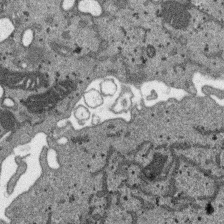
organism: Human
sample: Lung epithelial cells infected with SARS-CoV-2